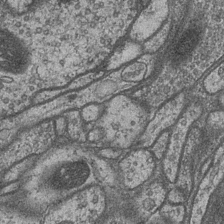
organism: Drosophila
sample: Optic medulla